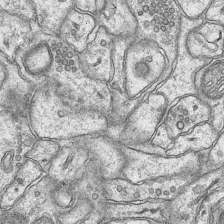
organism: Mouse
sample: CA1 Hippocampus